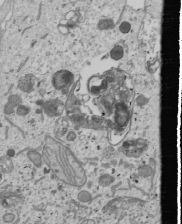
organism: Human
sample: Mitochondria in U2OS cells